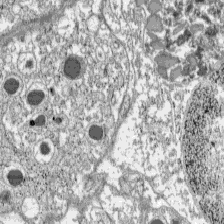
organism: C57BL Mouse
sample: Pancreatic islet